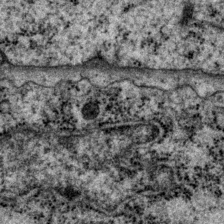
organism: P. pacificus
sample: Pharynx